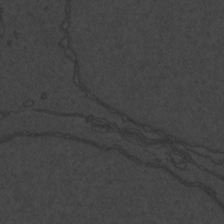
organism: Zebrafish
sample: Macrophage infected with Toxoplasma gondii